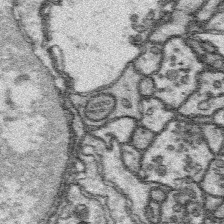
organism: Platynereis dumerilii